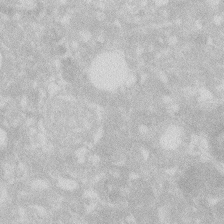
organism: Zebrafish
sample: Macrophage